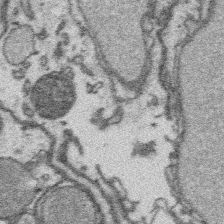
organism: Platynereis dumerilii